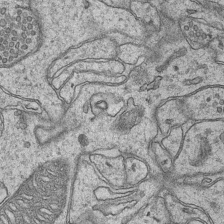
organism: Mouse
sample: CA1 Hippocampus